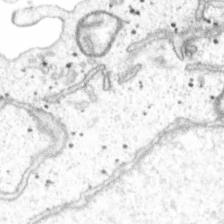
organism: Human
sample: HeLa cells